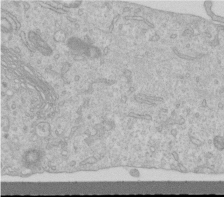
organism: Human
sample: Centriole in RPE cells